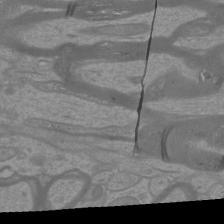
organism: Mouse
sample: Cortical neurons